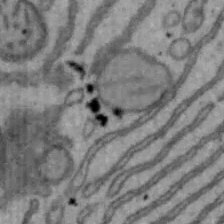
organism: Mouse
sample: Liver